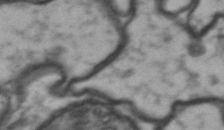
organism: Drosophila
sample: Brain